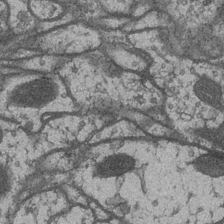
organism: Drosophila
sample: Optic medulla